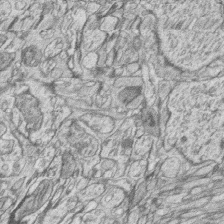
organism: Zebrafish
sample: synaptic ribbons in rod cells and cone cells